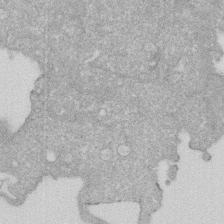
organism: Human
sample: HIV infected U937 cells